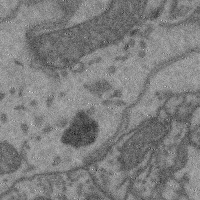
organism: Mouse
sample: Cerebral cortex